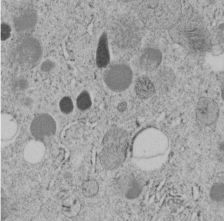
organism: C. elegans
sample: C. elegans embryo early stage